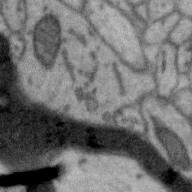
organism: Zebra finch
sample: Brain